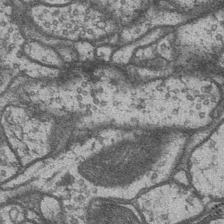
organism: Drosophila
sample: Optic medulla